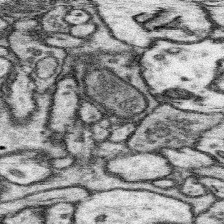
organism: Mouse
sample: Somatosensory cortex neuropil